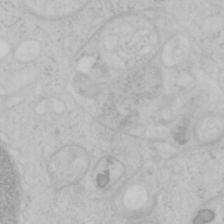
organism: Mouse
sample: OT-I killer T cells with ID8 ovarian cancer cells